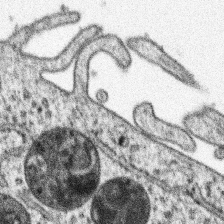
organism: Human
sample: HeLa cells